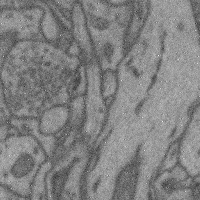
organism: Mouse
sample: Cerebral cortex